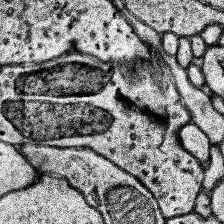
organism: Human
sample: Temporal Lobe